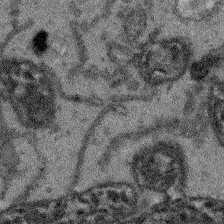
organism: Arabidopsis thaliana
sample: Root tip